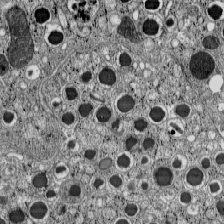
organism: C57BL Mouse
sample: Pancreatic islet